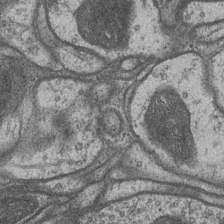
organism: Drosophila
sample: Optic medulla